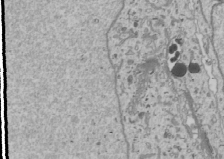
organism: Human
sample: Mitochondria in U2OS cells